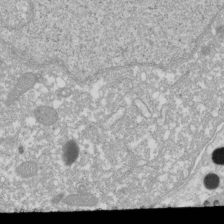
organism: Xenopus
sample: Cilia; centrioles in frog embryo cells